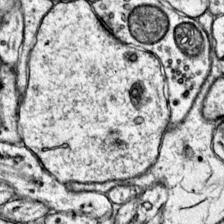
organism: Mouse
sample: Primary visual cortex